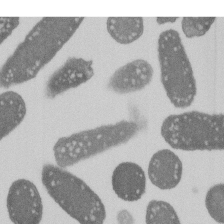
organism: E. coli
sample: Bacterial nucleoid